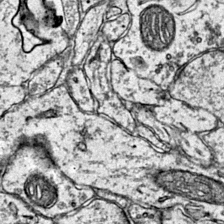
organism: Mouse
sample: Primary visual cortex